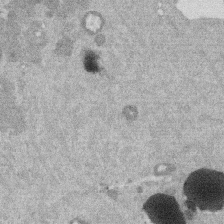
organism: Mouse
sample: Dividing mouse embryo 1 cell stage